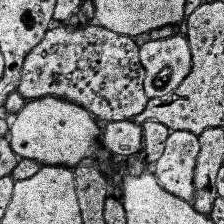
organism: Human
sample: Temporal Lobe